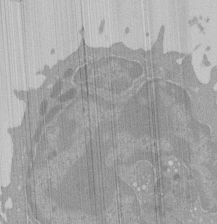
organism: Mouse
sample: Activated Pmel transgenic CD8+ T Cells